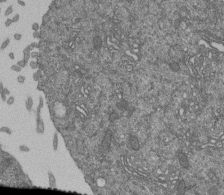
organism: Human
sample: Retinal organoid Rod and Cone cells